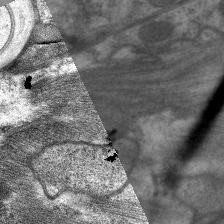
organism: C. elegans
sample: Pharynx